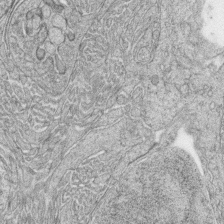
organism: Zebrafish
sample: synaptic ribbons in rod cells and cone cells